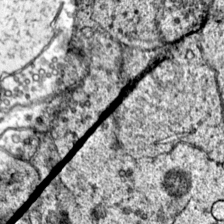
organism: Mouse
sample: Primary visual cortex